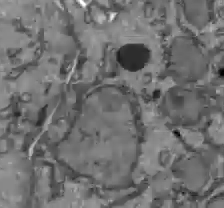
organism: C57BL Mouse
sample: Liver